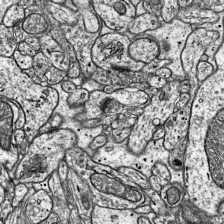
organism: Mouse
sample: Visual Cortex